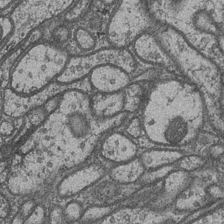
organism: Drosophila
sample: Optic medulla